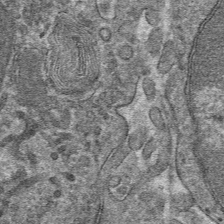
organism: Mouse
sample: Mouse hepatocytes